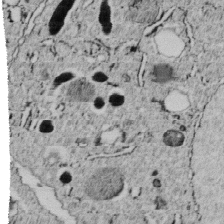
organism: C. elegans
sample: C. elegans embryo early stage